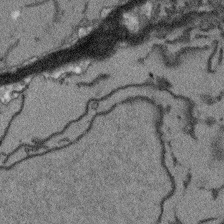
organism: Arabidopsis thaliana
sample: Root tip